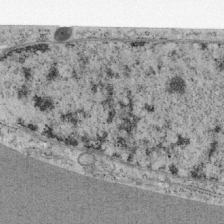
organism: Human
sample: HeLa cells